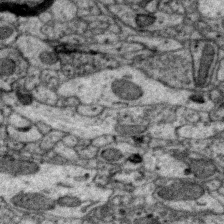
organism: Zebra finch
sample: Brain